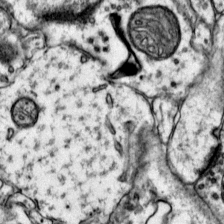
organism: Mouse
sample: Primary visual cortex